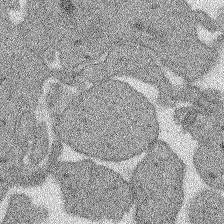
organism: Human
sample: HeLa cells